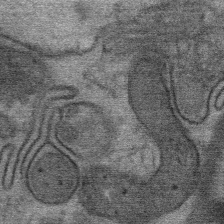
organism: Mouse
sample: Mouse Salivary gland